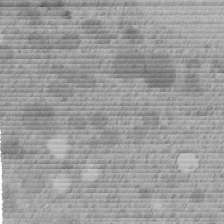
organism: C. elegans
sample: C. elegans embryo early stage